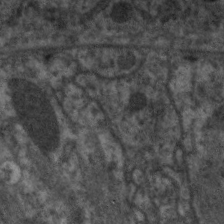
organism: C. elegans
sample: Pharynx